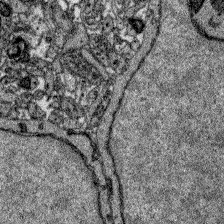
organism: Zebrafish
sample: Larval olfactory bulb